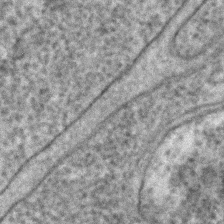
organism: C. elegans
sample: C. elegans embryo